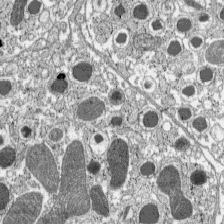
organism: C57BL Mouse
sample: Pancreatic islet